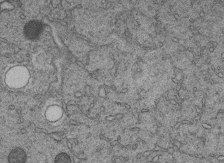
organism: C. elegans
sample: C. elegans embryo early stage